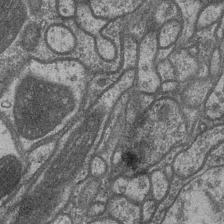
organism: Drosophila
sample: Optic medulla